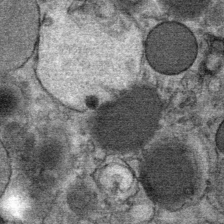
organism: Mouse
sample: Mouse Salivary gland